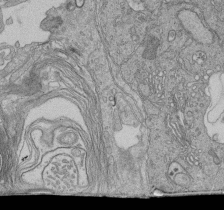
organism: Human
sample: Retinal organoid Rod and Cone cells